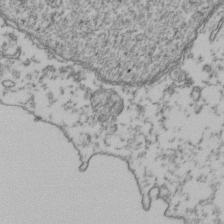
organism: Human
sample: Activated Jurkat CD4+ T cells